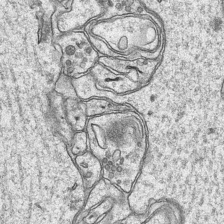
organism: Mouse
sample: CA1 Hippocampus